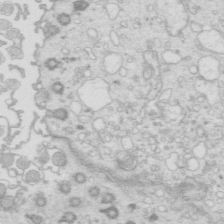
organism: Mouse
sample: Multiciliated cells